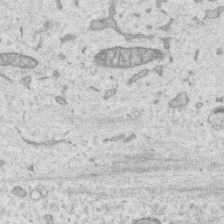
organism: Human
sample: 1205lu cells